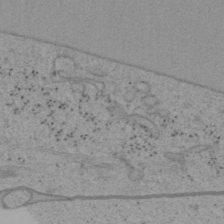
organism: Human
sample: HeLa cells